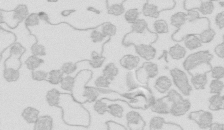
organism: Mouse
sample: Multiciliated cells